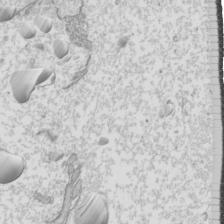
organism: Mouse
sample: Cilia; mouse epididymis